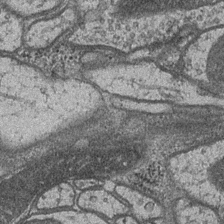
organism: Drosophila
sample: Optic medulla